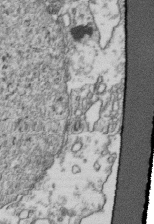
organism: Human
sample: Activated Jurkat CD4+ T cells